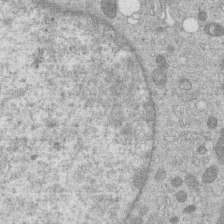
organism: Human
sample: Macrophage cells